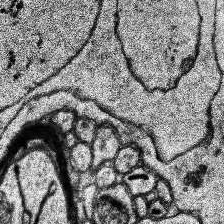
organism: Human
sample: Temporal Lobe